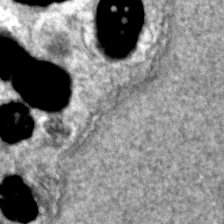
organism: Zebrafish